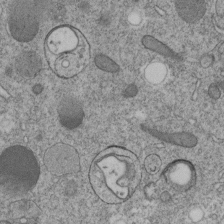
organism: C. elegans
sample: C. elegans embryo early stage